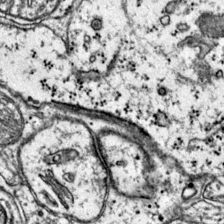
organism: Mouse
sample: Primary visual cortex